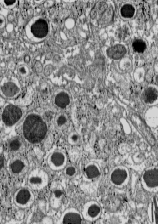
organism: C57BL Mouse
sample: Pancreatic islet